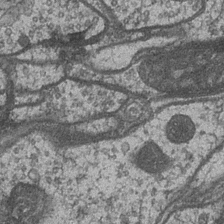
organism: Drosophila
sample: Optic medulla